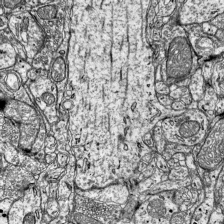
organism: Mouse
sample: Visual Cortex